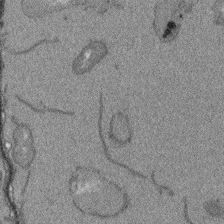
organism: Arabidopsis thaliana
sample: Root tip